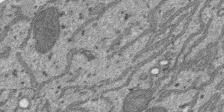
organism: Human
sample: Lung epithelial cells infected with SARS-CoV-2